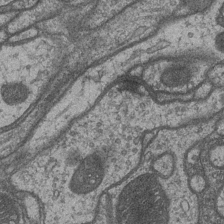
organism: Drosophila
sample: Optic medulla